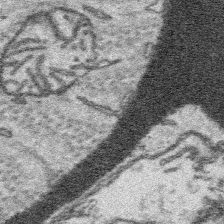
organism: Platynereis dumerilii